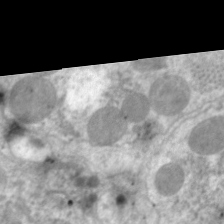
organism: C. elegans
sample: Pharynx